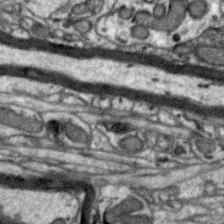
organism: Zebra finch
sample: Brain